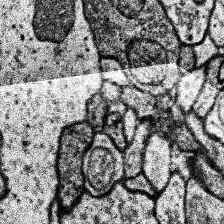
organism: Human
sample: Temporal Lobe